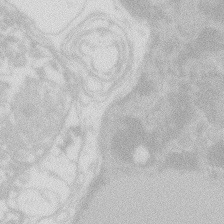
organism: Zebrafish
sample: Macrophage